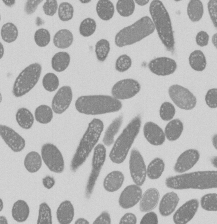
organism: E. coli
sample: Bacterial nucleoid